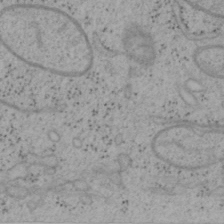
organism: Human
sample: HeLa cells